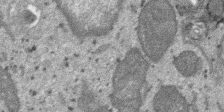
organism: Human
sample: Lung epithelial cells infected with SARS-CoV-2